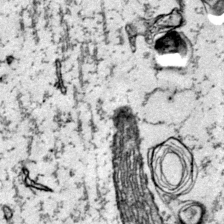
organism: Mouse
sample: Primary visual cortex